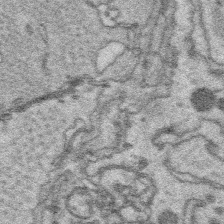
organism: Platynereis dumerilii